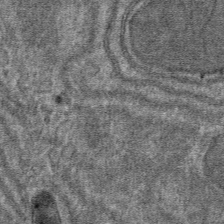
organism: Mouse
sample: Mouse hepatocytes